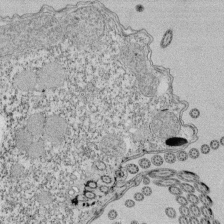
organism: Tetrahymena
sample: Cilia in tetrahymena